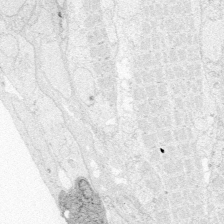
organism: Zebrafish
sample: Whole-Brain